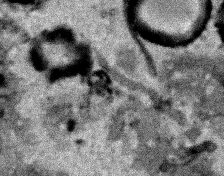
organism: Human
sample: Mitochondria in HCT116 cells